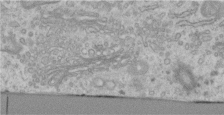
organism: Human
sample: Centriole in RPE cells